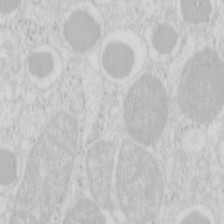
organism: Mouse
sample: Pancreas